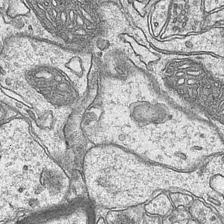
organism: Mouse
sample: CA1 Hippocampus